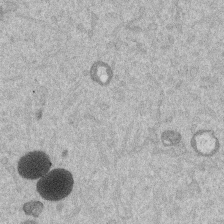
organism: Mouse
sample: Dividing mouse embryo 1 cell stage